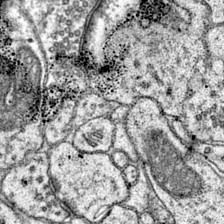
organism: Mouse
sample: Primary visual cortex